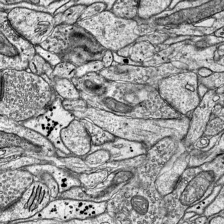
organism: Mouse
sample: Visual Cortex